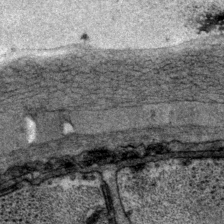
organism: P. pacificus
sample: Pharynx